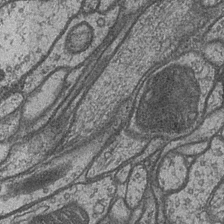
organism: Drosophila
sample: Optic medulla